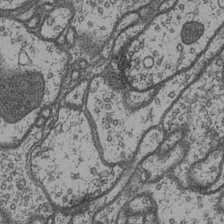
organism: Drosophila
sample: Optic medulla